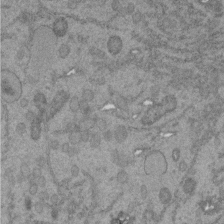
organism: C. elegans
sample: C. elegans embryo early stage